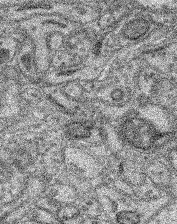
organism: Mouse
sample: Retina